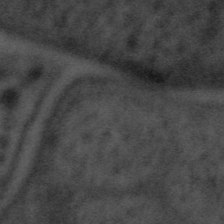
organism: Tuwongella immobilis